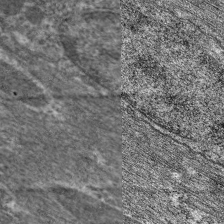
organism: C. elegans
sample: Pharynx